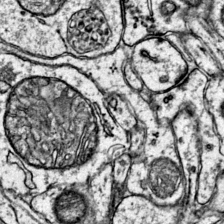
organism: Mouse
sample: Primary visual cortex